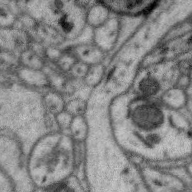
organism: Zebra finch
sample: Brain